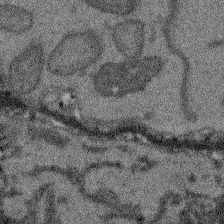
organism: Arabidopsis thaliana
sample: Root tip